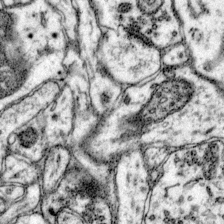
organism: Mouse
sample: Primary visual cortex